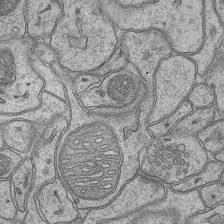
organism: Mouse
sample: CA1 Hippocampus